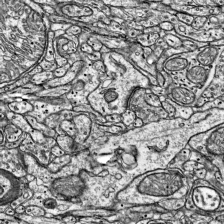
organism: Mouse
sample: Visual Cortex